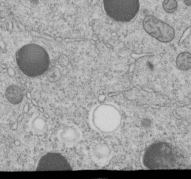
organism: C. elegans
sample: C. elegans embryo early stage